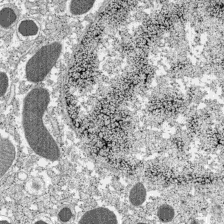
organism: C57BL Mouse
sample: Pancreatic islet